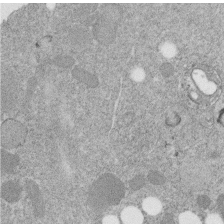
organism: C. elegans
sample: C. elegans embryo early stage